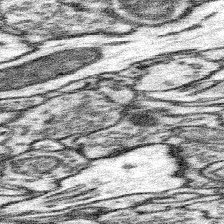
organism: Mouse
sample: Somatosensory cortex neuropil